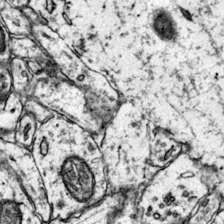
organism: Mouse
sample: Primary visual cortex